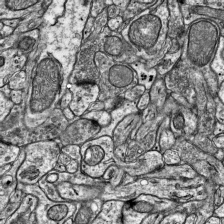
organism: Mouse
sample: Visual Cortex